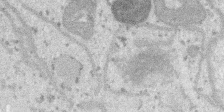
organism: Human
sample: Lung epithelial cells infected with SARS-CoV-2